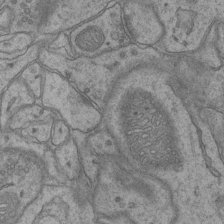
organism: Mouse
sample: CA1 Hippocampus